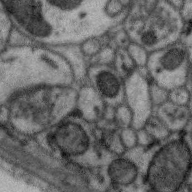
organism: Zebra finch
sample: Brain